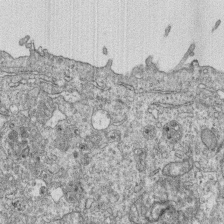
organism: Human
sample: HeLa cell HIV synapse